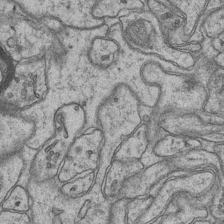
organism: Mouse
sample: CA1 Hippocampus